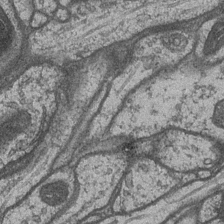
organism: Drosophila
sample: Optic medulla